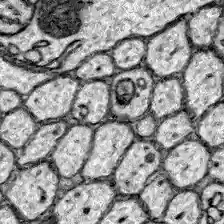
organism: Zebrafish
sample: Brain